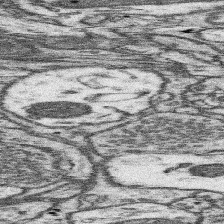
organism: Mouse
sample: Somatosensory cortex neuropil